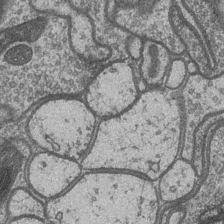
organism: Drosophila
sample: Optic medulla